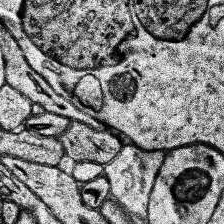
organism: Human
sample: Temporal Lobe